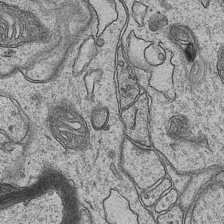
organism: Mouse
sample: CA1 Hippocampus